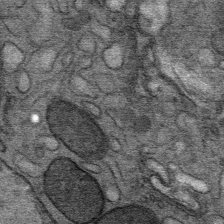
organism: Mouse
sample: Mouse Salivary gland